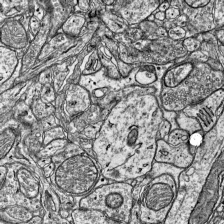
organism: Mouse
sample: Visual Cortex